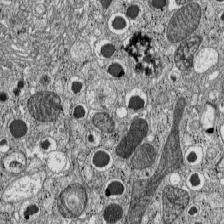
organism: C57BL Mouse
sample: Pancreatic islet